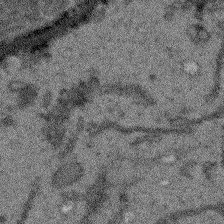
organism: Arabidopsis thaliana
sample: Root tip